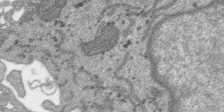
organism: Human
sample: Lung epithelial cells infected with SARS-CoV-2